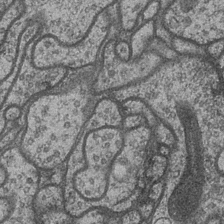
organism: Drosophila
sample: Optic medulla